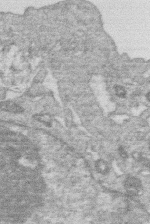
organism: Human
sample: Macrophage cells